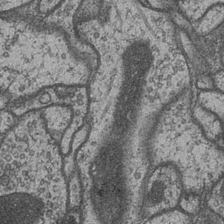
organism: Drosophila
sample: Optic medulla